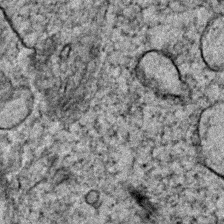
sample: Trachea